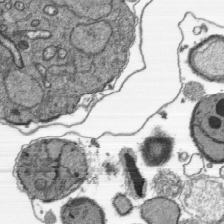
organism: Plasmodium falciparum